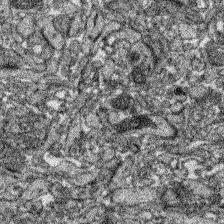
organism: Zebrafish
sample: Larval olfactory bulb